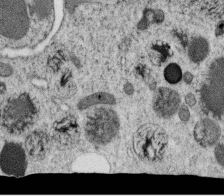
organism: C. elegans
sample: C. elegans oocyte; sperm cells